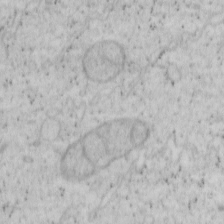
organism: Human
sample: HeLa cells